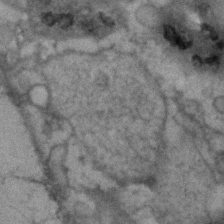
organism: Human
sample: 1205lu cells